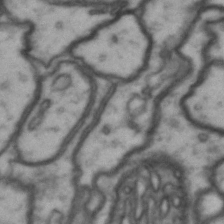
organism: Drosophila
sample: Brain